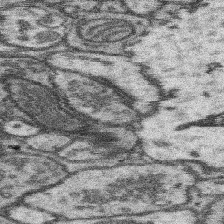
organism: Mouse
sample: Somatosensory cortex neuropil